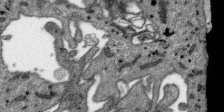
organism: Human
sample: Lung epithelial cells, uninfected (mock) control